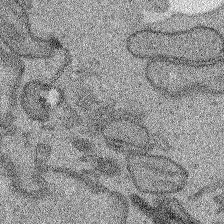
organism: Human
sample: HeLa cells